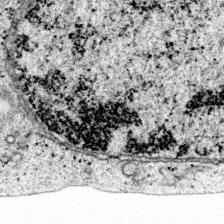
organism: Human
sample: HeLa cells